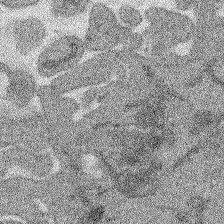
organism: Human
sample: HeLa cells